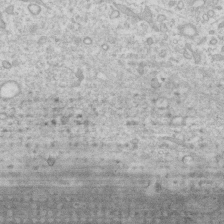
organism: Human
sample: Fibroblast cells